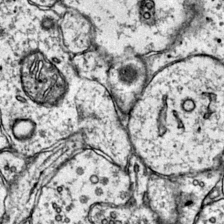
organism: Mouse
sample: Primary visual cortex